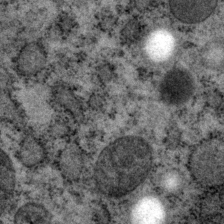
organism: P. pacificus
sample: Pharynx